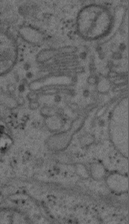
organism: Human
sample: HeLa cells